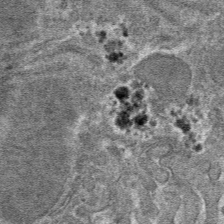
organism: Mouse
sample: Mouse hepatocytes